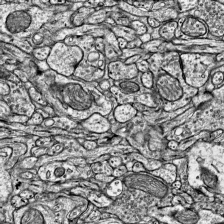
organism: Mouse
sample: Visual Cortex